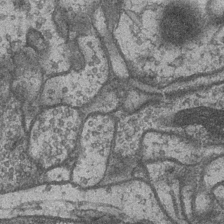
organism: Drosophila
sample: Optic medulla